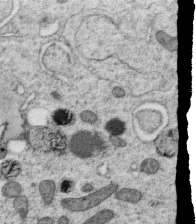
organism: C. elegans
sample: C. elegans oocyte; sperm cells